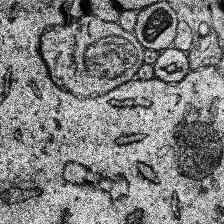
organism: Human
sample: Temporal Lobe